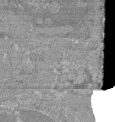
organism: Mouse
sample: Glomerulus